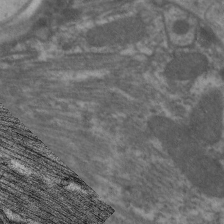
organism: C. elegans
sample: Pharynx